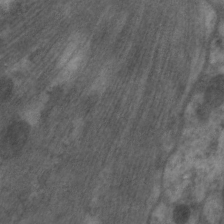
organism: C. elegans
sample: Pharynx